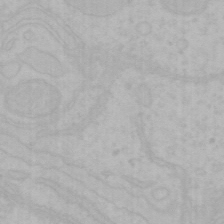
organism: Mouse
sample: Choroid plexus